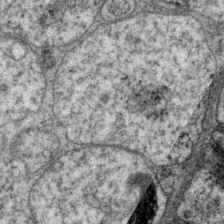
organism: P. pacificus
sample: Pharynx